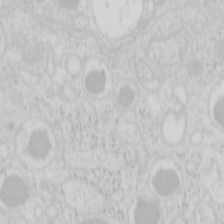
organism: Mouse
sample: Pancreas